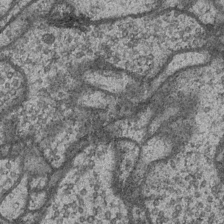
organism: Drosophila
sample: Optic medulla